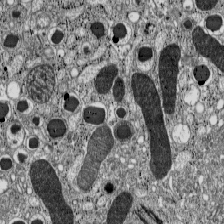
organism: C57BL Mouse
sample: Pancreatic islet